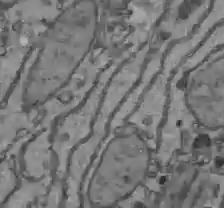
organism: C57BL Mouse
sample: Liver